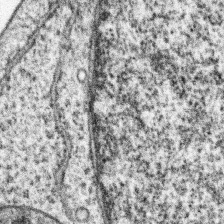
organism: Human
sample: HeLa cells